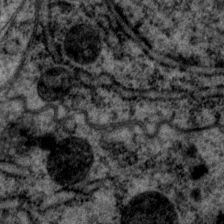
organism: P. pacificus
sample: Pharynx